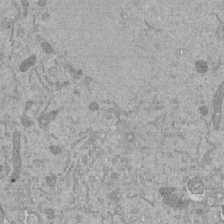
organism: Mouse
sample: ED-1 cell nuclei; centrioles